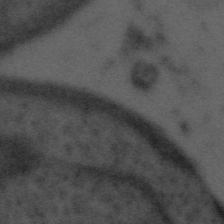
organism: Tuwongella immobilis